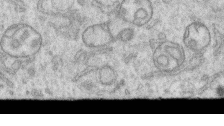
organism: Human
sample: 1205lu cells